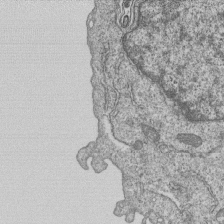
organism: Human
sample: MDA-MB-231 cells